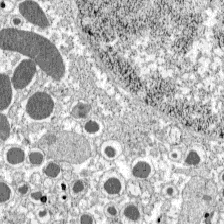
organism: C57BL Mouse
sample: Pancreatic islet